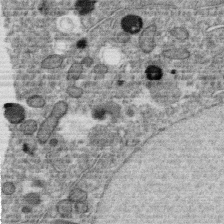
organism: C. elegans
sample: C. elegans oocyte; sperm cells